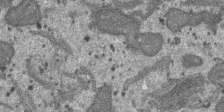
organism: Human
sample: Lung epithelial cells infected with SARS-CoV-2